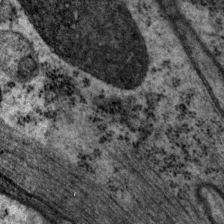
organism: P. pacificus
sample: Pharynx